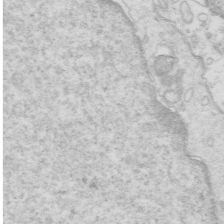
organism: Mouse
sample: Multiciliated cells